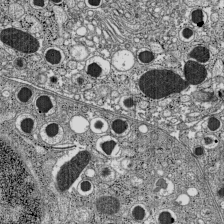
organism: C57BL Mouse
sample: Pancreatic islet